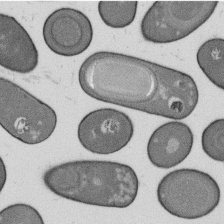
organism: B. subtilis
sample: Bacterial spore